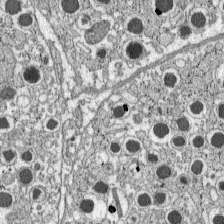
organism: C57BL Mouse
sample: Pancreatic islet